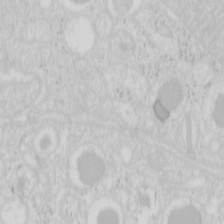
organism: Mouse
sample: Pancreas